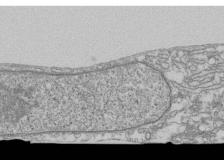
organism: Human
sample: Fibroblast cells